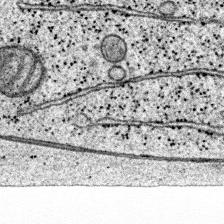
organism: Human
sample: HeLa cells